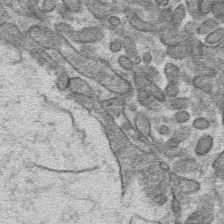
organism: Mouse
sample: Mouse hepatocytes